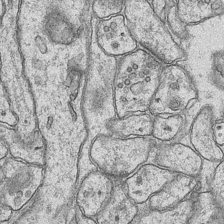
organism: Mouse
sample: CA1 Hippocampus